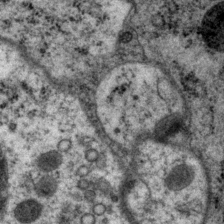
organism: P. pacificus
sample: Pharynx